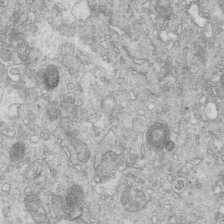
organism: Mouse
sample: Multiciliated cells